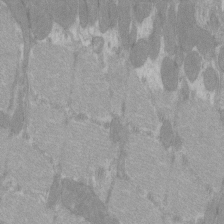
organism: C57BL Mouse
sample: Tibialis anterior muscle cell